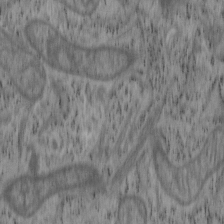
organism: Human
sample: HeLa cells